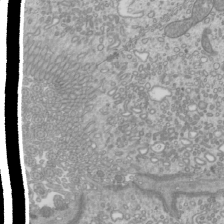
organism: Mouse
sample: Cilia; mouse epididymis